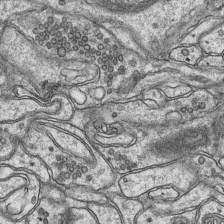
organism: Mouse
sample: CA1 Hippocampus